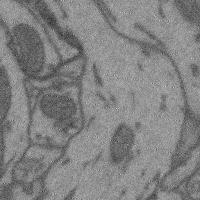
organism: Mouse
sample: Cerebral cortex